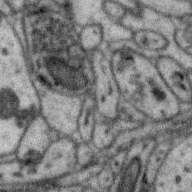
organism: Zebra finch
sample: Brain